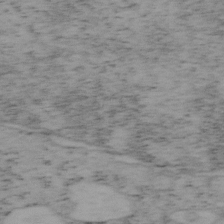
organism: Mouse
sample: OT-I killer T cells with ID8 ovarian cancer cells